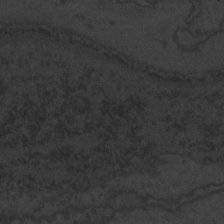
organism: Zebrafish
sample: Macrophage infected with Toxoplasma gondii